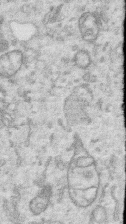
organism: Human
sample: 1205lu cells